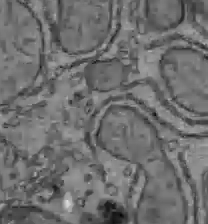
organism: C57BL Mouse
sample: Liver